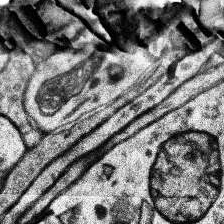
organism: Human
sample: Temporal Lobe